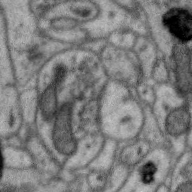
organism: Zebra finch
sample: Brain